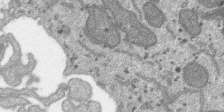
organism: Human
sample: Lung epithelial cells infected with SARS-CoV-2